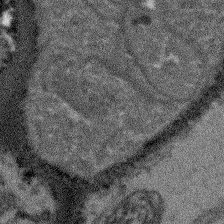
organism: Arabidopsis thaliana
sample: Root tip